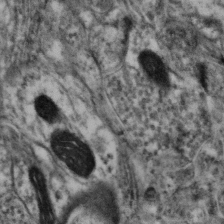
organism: Mouse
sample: Neocortex